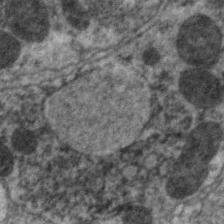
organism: C. elegans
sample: Pharynx